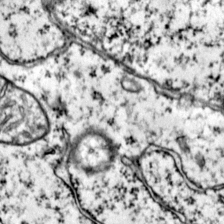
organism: Mouse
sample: Primary visual cortex